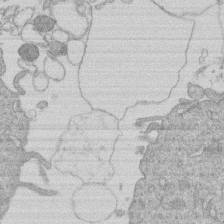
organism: Human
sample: Macrophage cells